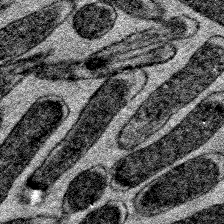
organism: E. coli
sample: E. Coli Bacteria